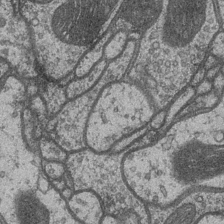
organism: Drosophila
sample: Optic medulla